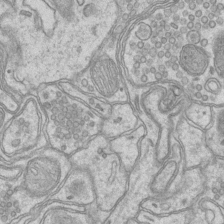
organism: Mouse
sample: CA1 Hippocampus